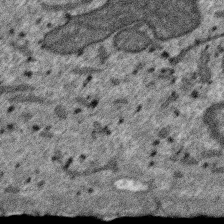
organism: Human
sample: Lung epithelial cells infected with SARS-CoV-2